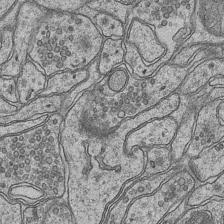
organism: Mouse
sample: CA1 Hippocampus